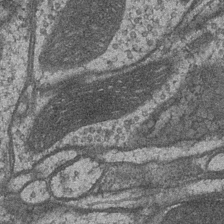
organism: Drosophila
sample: Optic medulla